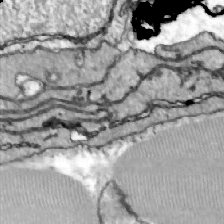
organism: Zebrafish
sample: Actinotrichia fibers